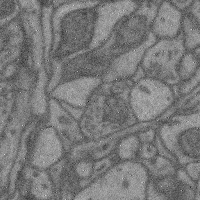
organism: Mouse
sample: Cerebral cortex